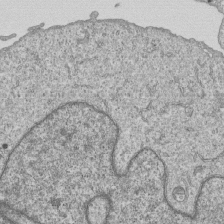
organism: Human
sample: MDA-MB-231 cells